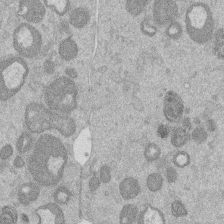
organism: Mouse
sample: Dividing mouse embryo 1 cell stage